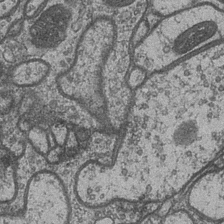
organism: Drosophila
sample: Optic medulla